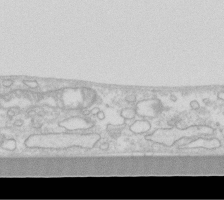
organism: Human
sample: Fibroblast cells